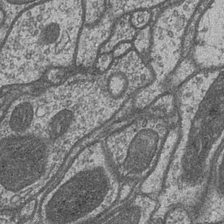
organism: Drosophila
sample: Optic medulla